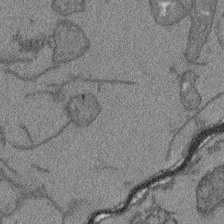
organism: Arabidopsis thaliana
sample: Root tip